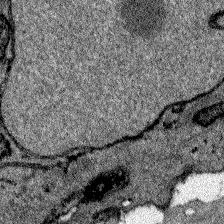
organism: Zebrafish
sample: Larval olfactory bulb